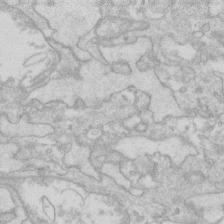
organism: Human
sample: Fibroblast cells